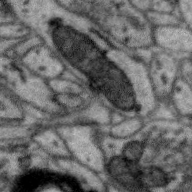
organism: Zebra finch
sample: Brain